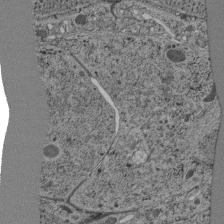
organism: C. elegans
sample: C. elegans pharynx